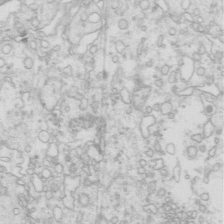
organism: Mouse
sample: Multiciliated cells